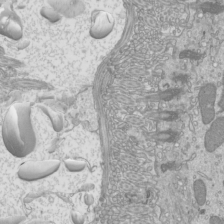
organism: Mouse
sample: Cilia; mouse epididymis